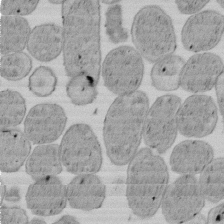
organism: E. coli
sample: Bacterial nucleoid